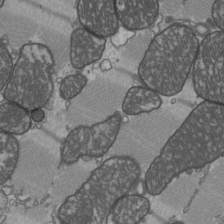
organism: C57BL Mouse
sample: Heart